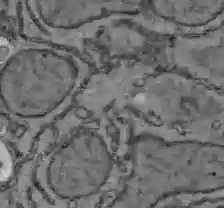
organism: C57BL Mouse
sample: Liver